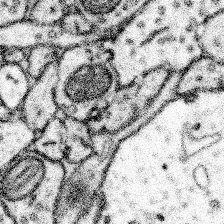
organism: Mouse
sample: Somatosensory cortex neuropil